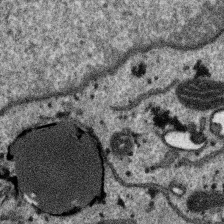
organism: Human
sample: Lung epithelial cells infected with SARS-CoV-2